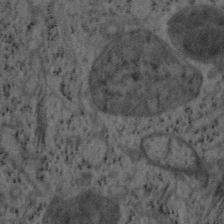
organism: Human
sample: HeLa cells